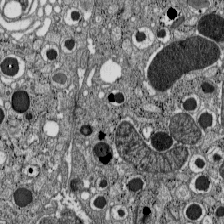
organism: C57BL Mouse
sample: Pancreatic islet